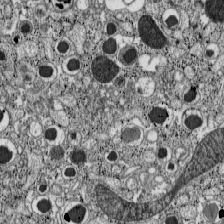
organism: C57BL Mouse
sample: Pancreatic islet